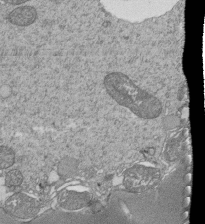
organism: Tetrahymena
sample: Cilia in tetrahymena